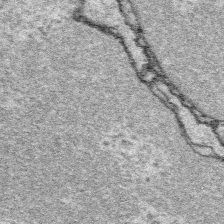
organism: Platynereis dumerilii